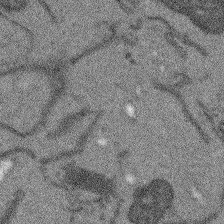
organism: Arabidopsis thaliana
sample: Root tip